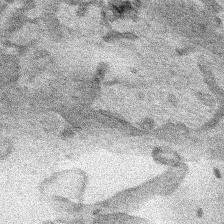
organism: Human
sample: Mitochondria in HCT116 cells